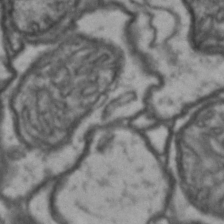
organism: Drosophila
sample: Brain